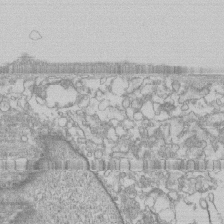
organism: Human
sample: CRL-1474